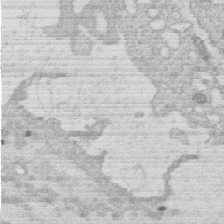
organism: Human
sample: Macrophage cells